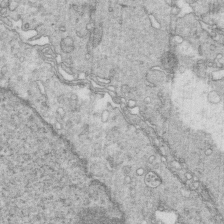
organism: Mouse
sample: Multiciliated cells